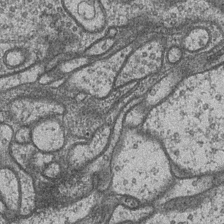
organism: Drosophila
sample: Optic medulla